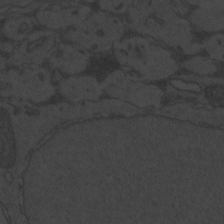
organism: Zebrafish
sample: Macrophage infected with Toxoplasma gondii